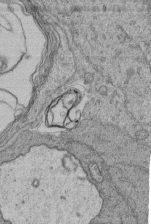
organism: Human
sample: Retinal organoid Rod and Cone cells